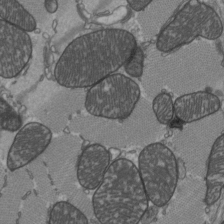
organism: C57BL Mouse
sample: Heart